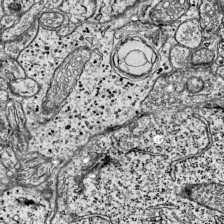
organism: Mouse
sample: Visual Cortex